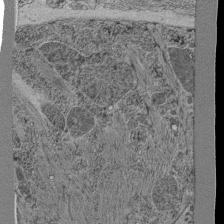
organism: C. elegans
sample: C. elegans pharynx